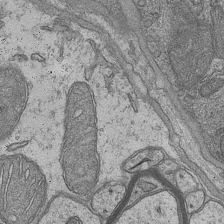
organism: Mouse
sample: CA1 Hippocampus